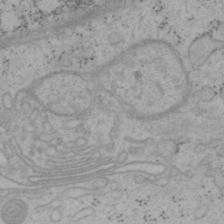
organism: Human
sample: HeLa cells